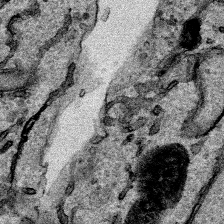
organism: Human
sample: Mitochondria in HCT116 cells